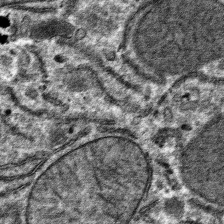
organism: Mouse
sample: Mouse hepatocytes